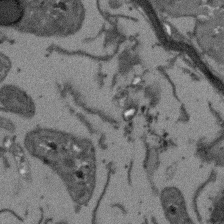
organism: Arabidopsis thaliana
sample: Root tip